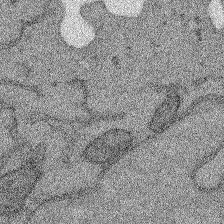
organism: Human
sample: HeLa cells